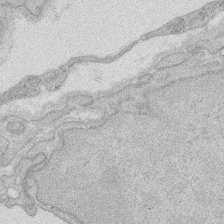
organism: Rat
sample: Salivary granule